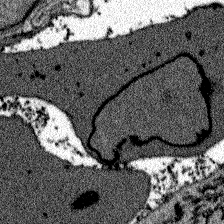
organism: Zebrafish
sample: Larval olfactory bulb